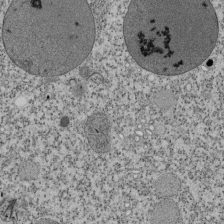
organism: Tetrahymena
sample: Cilia in tetrahymena